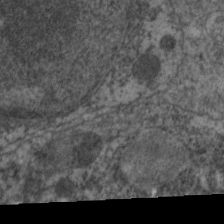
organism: C. elegans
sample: Pharynx